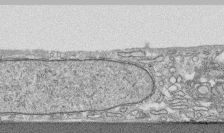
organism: Human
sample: CRL-1474